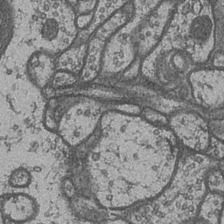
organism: Drosophila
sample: Optic medulla